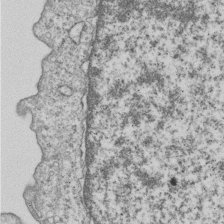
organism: Human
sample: MDA-MB-231 cells